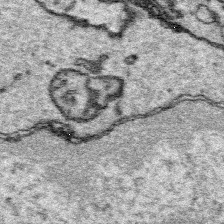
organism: Platynereis dumerilii